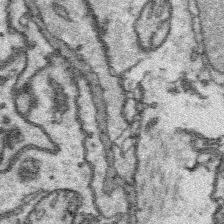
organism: Platynereis dumerilii